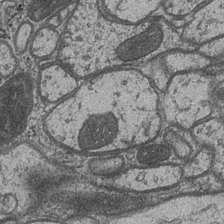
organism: Drosophila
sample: Optic medulla